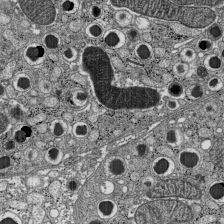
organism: C57BL Mouse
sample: Pancreatic islet